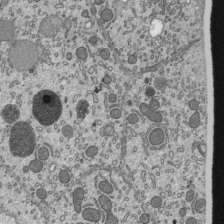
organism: Mouse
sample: Mouse epididymis efferent ductule cilia